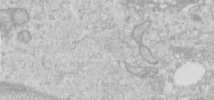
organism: Human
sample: Centriole in RPE cells